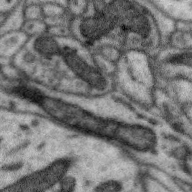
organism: Zebra finch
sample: Brain